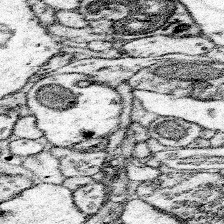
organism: Mouse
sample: Somatosensory cortex neuropil